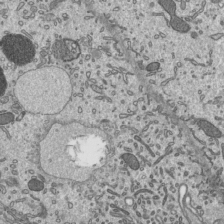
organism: Mouse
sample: Mouse epididymis efferent ductule cilia